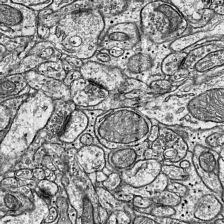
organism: Mouse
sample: Visual Cortex